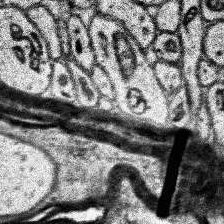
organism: Human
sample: Temporal Lobe